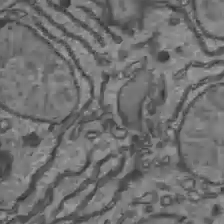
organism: C57BL Mouse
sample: Liver